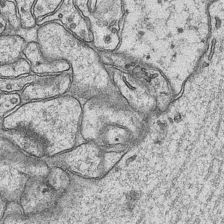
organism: Mouse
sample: CA1 Hippocampus